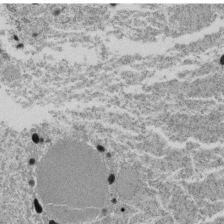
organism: Tetrahymena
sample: Cilia in tetrahymena